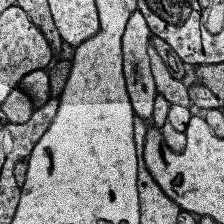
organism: Human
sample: Temporal Lobe